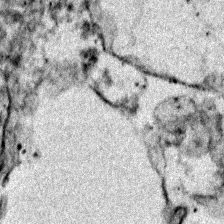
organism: Zebrafish